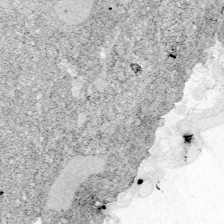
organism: Zebrafish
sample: Whole-Brain